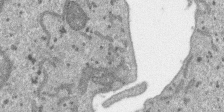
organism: Human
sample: Lung epithelial cells infected with SARS-CoV-2